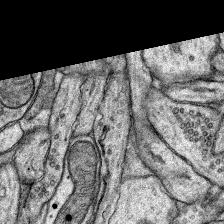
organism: Rat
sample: Hippocampus